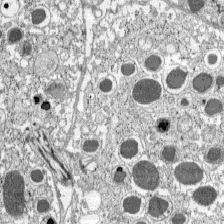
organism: C57BL Mouse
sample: Pancreatic islet